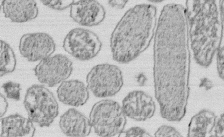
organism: E. coli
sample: Bacterial nucleoid